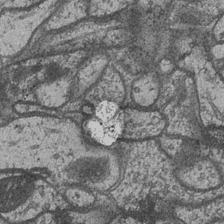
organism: Drosophila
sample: Optic medulla